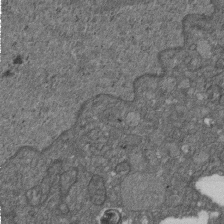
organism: Drosophila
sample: Nephrocyte